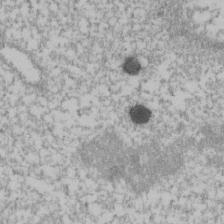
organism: Human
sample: U2-OS cells